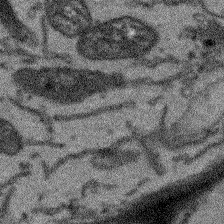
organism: Arabidopsis thaliana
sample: Root tip